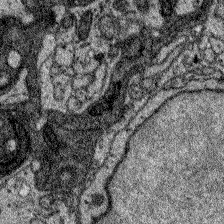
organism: Zebrafish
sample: Larval olfactory bulb